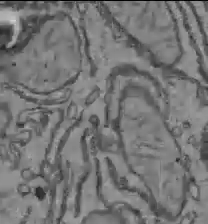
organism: C57BL Mouse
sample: Liver